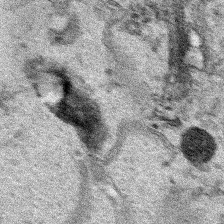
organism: Human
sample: Mitochondria in HCT116 cells